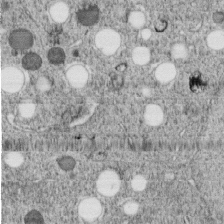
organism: C. elegans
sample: C. elegans embryo early stage